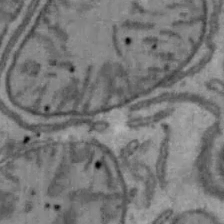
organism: Mouse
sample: Liver